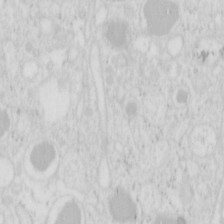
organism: Mouse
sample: Pancreas